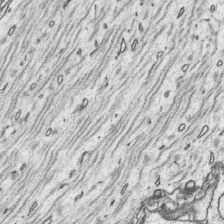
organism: Platynereis dumerilii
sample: Parapodia